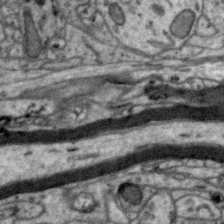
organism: Zebra finch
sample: Brain